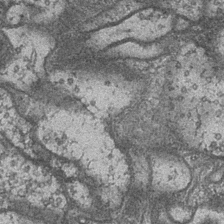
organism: Drosophila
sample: Optic medulla